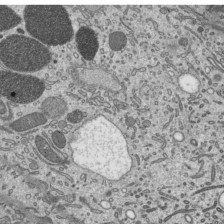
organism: Mouse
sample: Mouse epididymis efferent ductule cilia